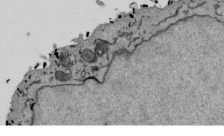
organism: Mouse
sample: ED-1 cell nuclei; centrioles